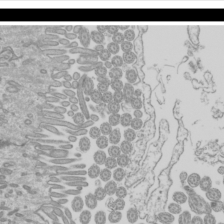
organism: Mouse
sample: Cilia; mouse epididymis